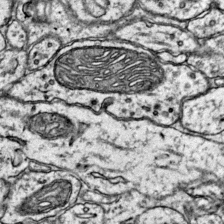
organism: Mouse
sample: Primary visual cortex